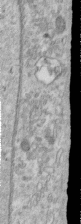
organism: Human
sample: Centriole in RPE cells